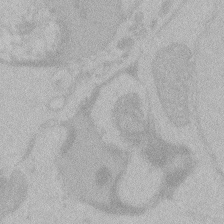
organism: Zebrafish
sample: Macrophage infected with Toxoplasma gondii